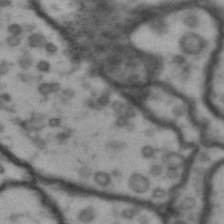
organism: Drosophila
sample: Brain